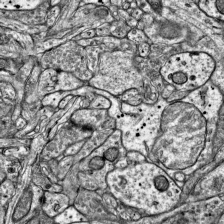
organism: Mouse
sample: Visual Cortex